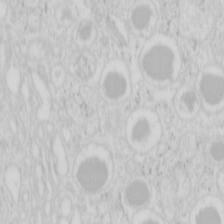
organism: Mouse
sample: Pancreas